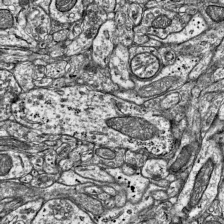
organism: Mouse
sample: Visual Cortex